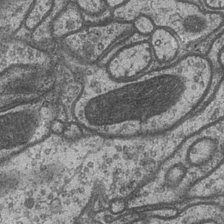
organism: Drosophila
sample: Optic medulla